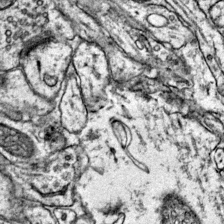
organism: Mouse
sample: Primary visual cortex